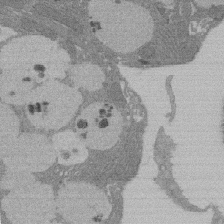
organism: Rat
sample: Salivary granule